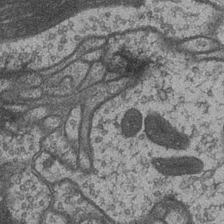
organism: Drosophila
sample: Optic medulla